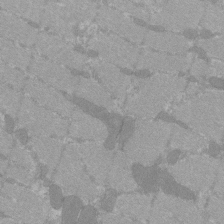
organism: C57BL Mouse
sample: Tibialis anterior muscle cell